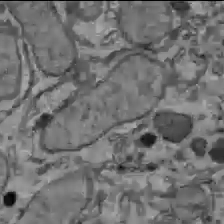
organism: C57BL Mouse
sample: Liver